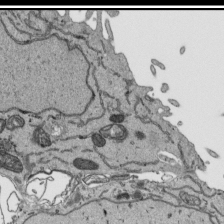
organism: Human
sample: Mitochondria in HCT116 cells